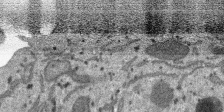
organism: Human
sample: Lung epithelial cells infected with SARS-CoV-2